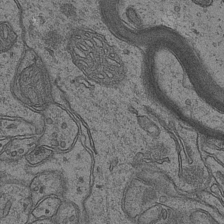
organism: Mouse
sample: CA1 Hippocampus